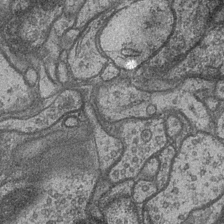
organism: Drosophila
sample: Optic medulla